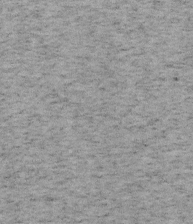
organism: Mouse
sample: OT-I killer T cells with ID8 ovarian cancer cells